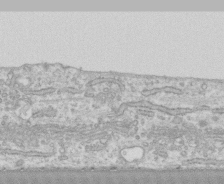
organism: Human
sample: CRL-1474